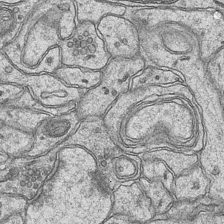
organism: Mouse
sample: CA1 Hippocampus